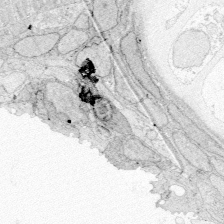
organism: Zebrafish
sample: Whole-Brain